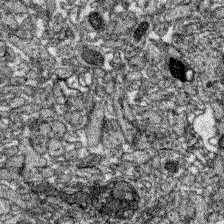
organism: Zebrafish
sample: Larval olfactory bulb